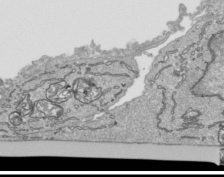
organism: Human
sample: Mitochondria in HCT116 cells